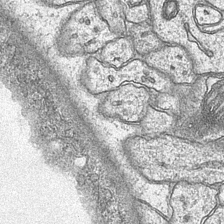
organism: Mouse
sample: CA1 Hippocampus